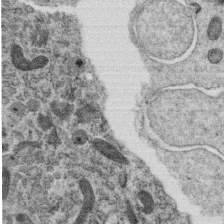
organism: C. elegans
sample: C. elegans oocyte; sperm cells